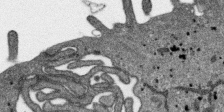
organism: Human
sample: Lung epithelial cells, uninfected (mock) control